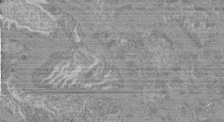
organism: Mouse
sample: Glomerulus